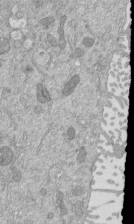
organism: Mouse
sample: ED-1 cell nuclei; centrioles